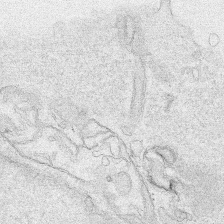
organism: Human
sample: Mitochondria in HCT116 cells